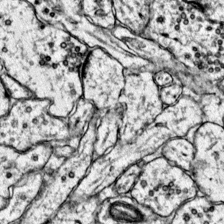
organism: Mouse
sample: Primary visual cortex